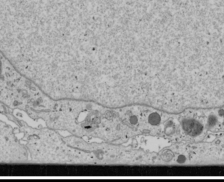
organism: Human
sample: Mitochondria in U2OS cells